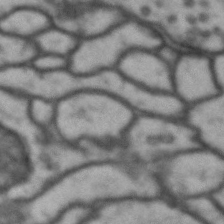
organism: Drosophila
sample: Brain